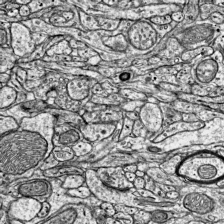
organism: Mouse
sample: Visual Cortex